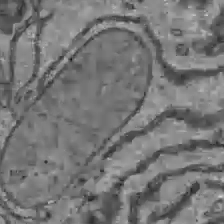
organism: C57BL Mouse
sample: Liver